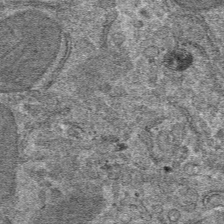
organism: Mouse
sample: Mouse hepatocytes